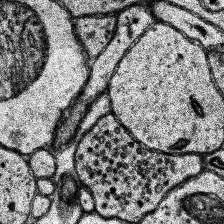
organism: Human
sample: Temporal Lobe